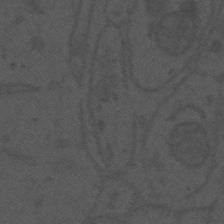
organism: Mouse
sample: Suprachiasmatic nucleus